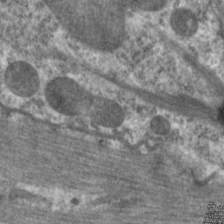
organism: C. elegans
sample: Pharynx